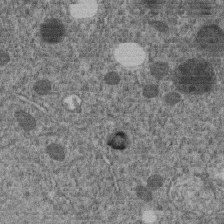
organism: C. elegans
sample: C. elegans embryo early stage